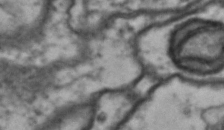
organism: Drosophila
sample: Brain